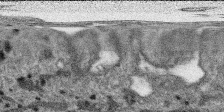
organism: Human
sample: Lung epithelial cells infected with SARS-CoV-2